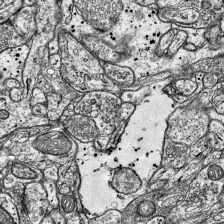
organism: Mouse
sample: Visual Cortex